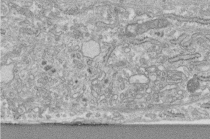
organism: Human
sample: Centriole in fibroblast cells